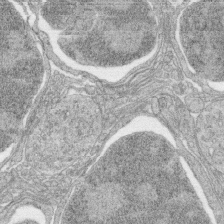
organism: Zebrafish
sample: synaptic ribbons in rod cells and cone cells